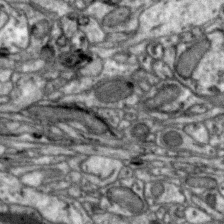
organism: Zebra finch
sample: Brain